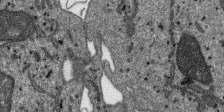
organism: Human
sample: Lung epithelial cells infected with SARS-CoV-2